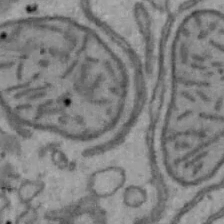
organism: Mouse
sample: Liver